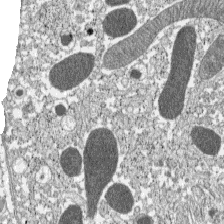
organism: C57BL Mouse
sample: Pancreatic islet